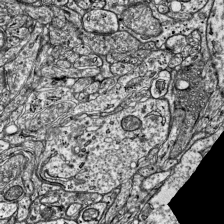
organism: Mouse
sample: Visual Cortex